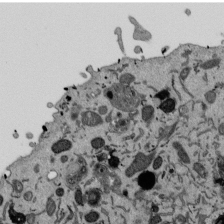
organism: Mouse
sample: ED-1 cell nuclei; centrioles